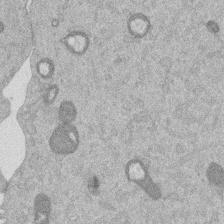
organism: Mouse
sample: Dividing mouse embryo 1 cell stage